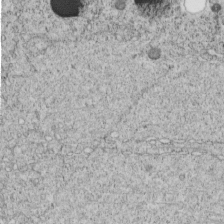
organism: C. elegans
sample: C. elegans embryo early stage